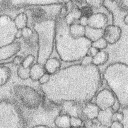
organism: Rabbit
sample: Retina